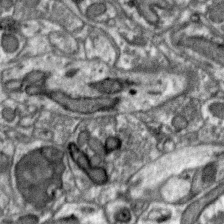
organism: Zebra finch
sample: Brain